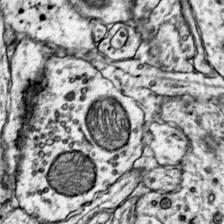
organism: Mouse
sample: Primary visual cortex